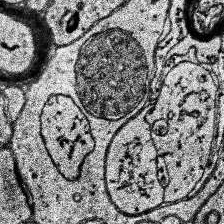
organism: Human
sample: Temporal Lobe